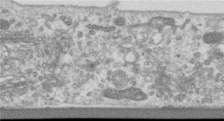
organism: Human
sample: Centriole in RPE cells